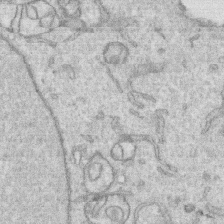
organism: Human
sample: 1205lu cells